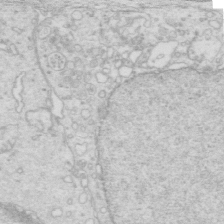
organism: Mouse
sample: Multiciliated cells